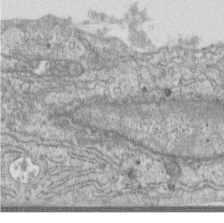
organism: Human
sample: Centriole in RPE cells